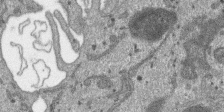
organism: Human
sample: Lung epithelial cells infected with SARS-CoV-2